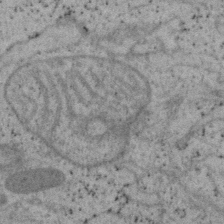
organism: Human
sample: HeLa cells